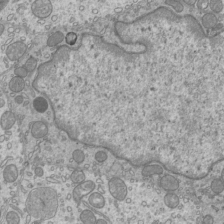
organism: Mouse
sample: Cilia; mouse epididymis